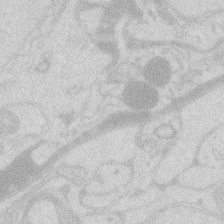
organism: Zebrafish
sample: Macrophage